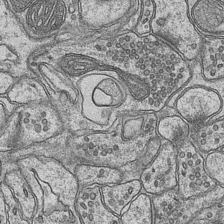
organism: Mouse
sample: CA1 Hippocampus